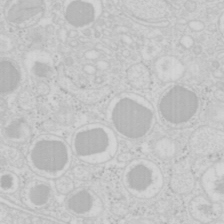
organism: Mouse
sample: Pancreas